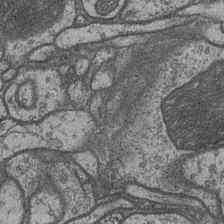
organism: Drosophila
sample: Optic medulla